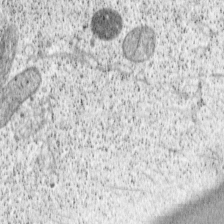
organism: African green monkey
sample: COS-7 cells